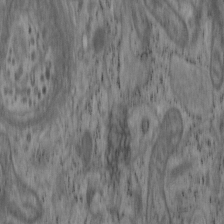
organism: Human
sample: HeLa cells